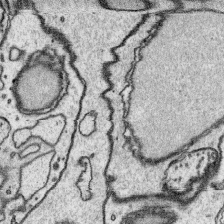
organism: Platynereis dumerilii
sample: Parapodia